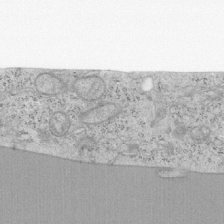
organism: Human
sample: HeLa cells